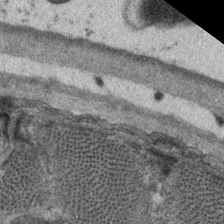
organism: C. elegans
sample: Pharynx